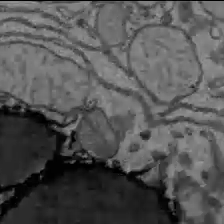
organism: C57BL Mouse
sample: Liver